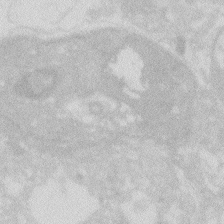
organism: Zebrafish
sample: Macrophage